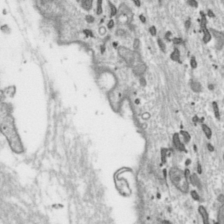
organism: Toxoplasma gondii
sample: Parasites in a vacuole inside a host cell